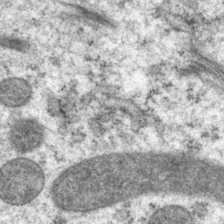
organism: P. pacificus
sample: Pharynx